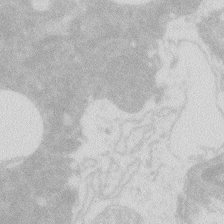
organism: Zebrafish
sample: Macrophage